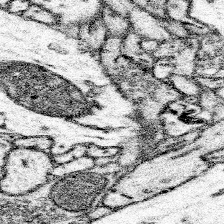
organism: Mouse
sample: Somatosensory cortex neuropil